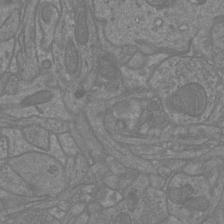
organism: Mouse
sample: Cortical neurons